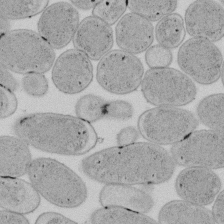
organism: E. coli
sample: Bacterial nucleoid